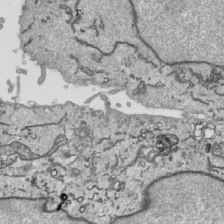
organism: Human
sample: Mitochondria in HCT116 cells